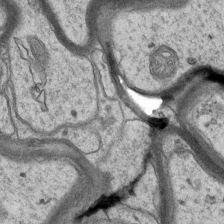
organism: Mouse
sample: CA1 Hippocampus